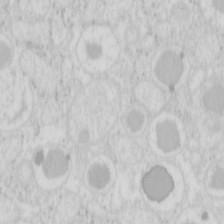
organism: Mouse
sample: Pancreas